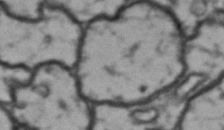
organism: Drosophila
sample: Brain